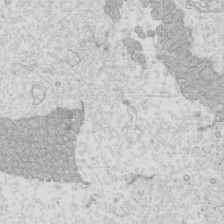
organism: Mouse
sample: Cilia; mouse epididymis